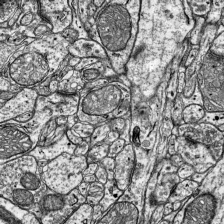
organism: Mouse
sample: Visual Cortex